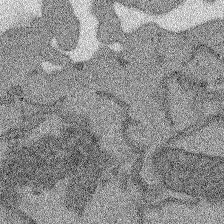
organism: Human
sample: HeLa cells